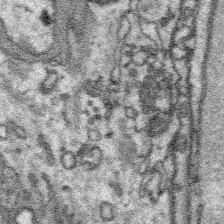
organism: Platynereis dumerilii